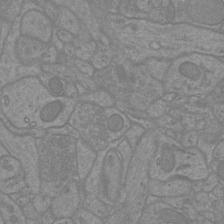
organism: Mouse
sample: Cortical neurons